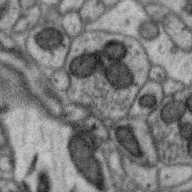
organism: Zebra finch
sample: Brain